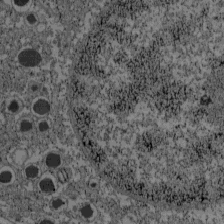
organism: C57BL Mouse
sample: Pancreatic islet